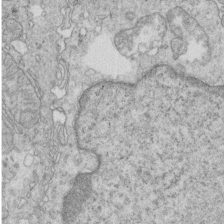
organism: Mouse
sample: Multiciliated cells